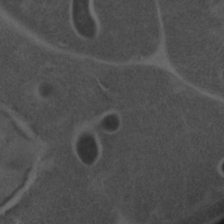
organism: C. elegans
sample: C. elegans embryo